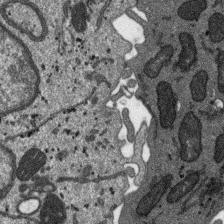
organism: Human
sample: Lung epithelial cells infected with SARS-CoV-2